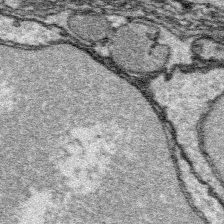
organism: Platynereis dumerilii